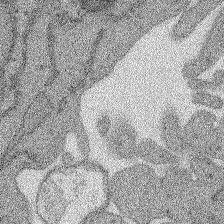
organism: Human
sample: HeLa cells